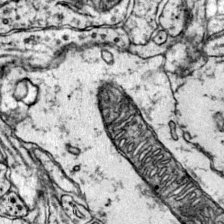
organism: Mouse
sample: Primary visual cortex